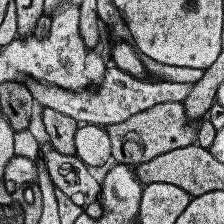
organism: Human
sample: Temporal Lobe